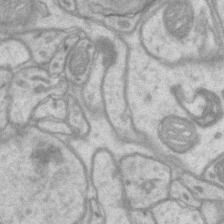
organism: Mouse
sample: CA1 Hippocampus